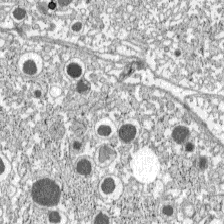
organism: C57BL Mouse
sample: Pancreatic islet